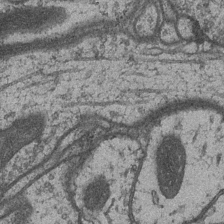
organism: Drosophila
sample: Optic medulla